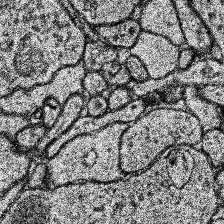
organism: Human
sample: Temporal Lobe